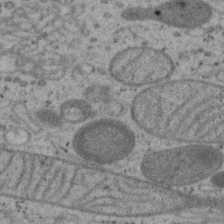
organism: Human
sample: HeLa cells